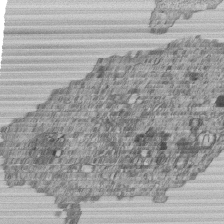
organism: Human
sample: MDA-MB-231 cells